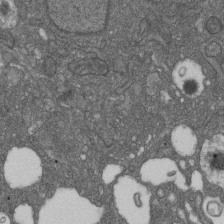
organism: Drosophila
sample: Nephrocyte